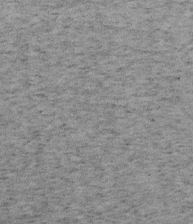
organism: Mouse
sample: OT-I killer T cells with ID8 ovarian cancer cells